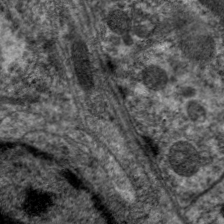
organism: C. elegans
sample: Pharynx